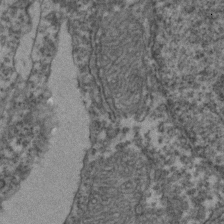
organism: Zebrafish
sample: Zebrafish embryo